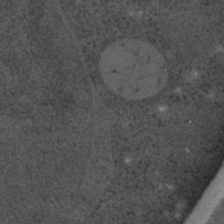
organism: C. elegans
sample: C. elegans embryo